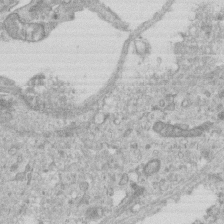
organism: Mouse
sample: Centriole in ependymal cells